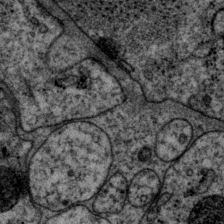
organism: P. pacificus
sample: Pharynx